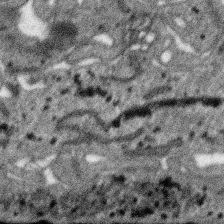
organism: Human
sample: Lung epithelial cells infected with SARS-CoV-2